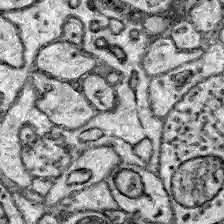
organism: Zebrafish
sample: Brain